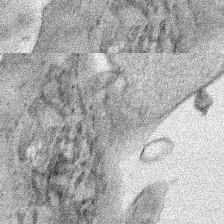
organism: Human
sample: Mitochondria in HCT116 cells